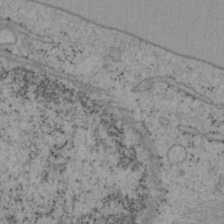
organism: Human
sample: HeLa cells